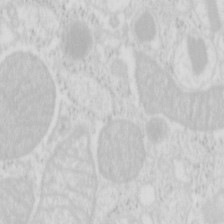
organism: Mouse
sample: Pancreas